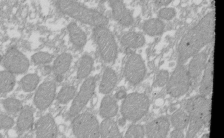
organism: Xenopus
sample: Cilia; centrioles in frog embryo cells